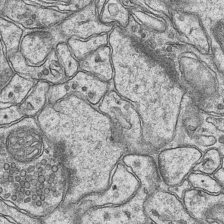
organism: Mouse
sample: CA1 Hippocampus